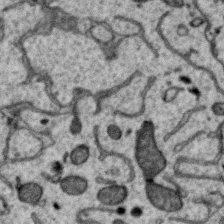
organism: Zebra finch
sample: Brain